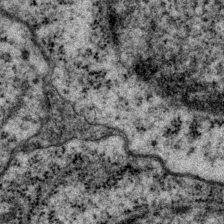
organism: P. pacificus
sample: Pharynx